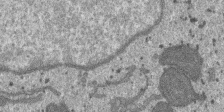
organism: Human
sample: Lung epithelial cells infected with SARS-CoV-2